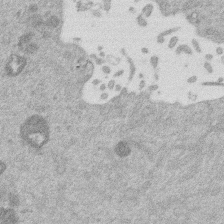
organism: Mouse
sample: Dividing mouse embryo 1 cell stage